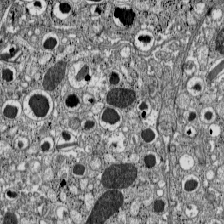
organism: C57BL Mouse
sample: Pancreatic islet